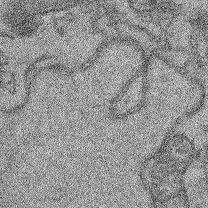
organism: Human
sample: HeLa cells